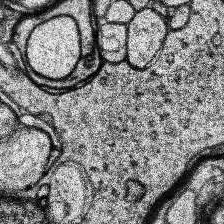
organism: Human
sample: Temporal Lobe